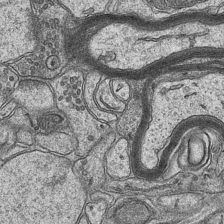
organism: Mouse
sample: CA1 Hippocampus